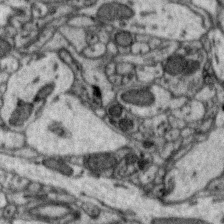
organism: Zebra finch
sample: Brain